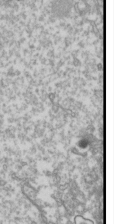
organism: Drosophila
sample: Cell division; meiosis; drosophila spermatocytes